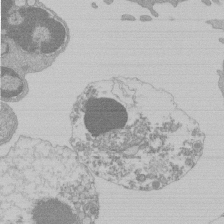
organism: Mouse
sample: Activated Pmel transgenic CD8+ T Cells